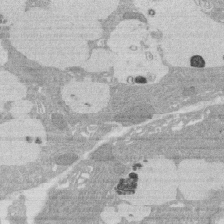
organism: Rat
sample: Salivary granule